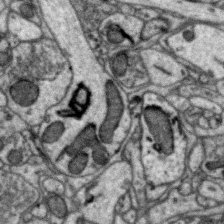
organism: Zebra finch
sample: Brain